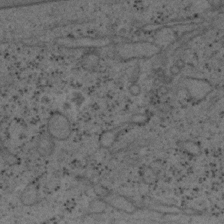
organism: Human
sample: HeLa cells